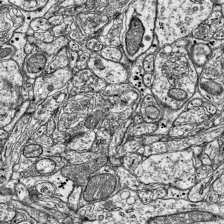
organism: Mouse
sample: Visual Cortex